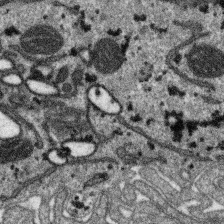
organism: Human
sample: Lung epithelial cells infected with SARS-CoV-2